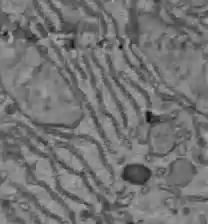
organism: C57BL Mouse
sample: Liver